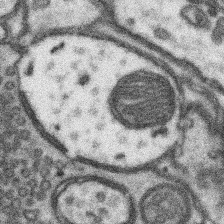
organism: Mouse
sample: Somatosensory cortex neuropil